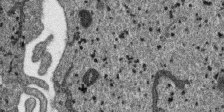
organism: Human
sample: Lung epithelial cells infected with SARS-CoV-2